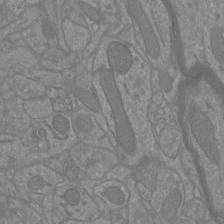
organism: Mouse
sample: Cortical neurons